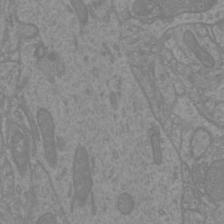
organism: Mouse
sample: Cortical neurons